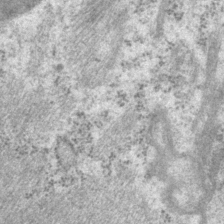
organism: P. pacificus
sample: Pharynx